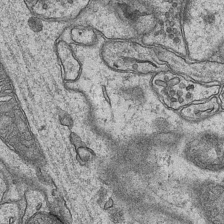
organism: Mouse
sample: CA1 Hippocampus